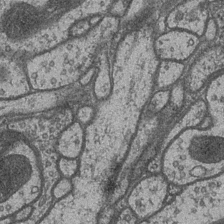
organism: Drosophila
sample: Optic medulla